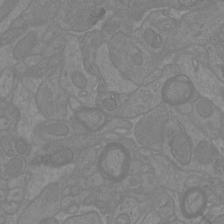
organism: Mouse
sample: Cortical neurons